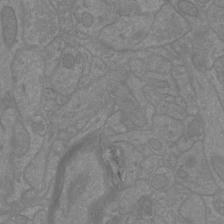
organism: Mouse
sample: Cortical neurons